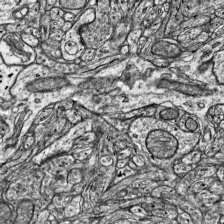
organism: Mouse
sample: Visual Cortex